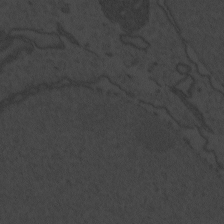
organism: Zebrafish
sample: Macrophage infected with Toxoplasma gondii